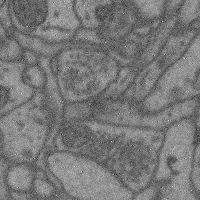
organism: Mouse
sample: Cerebral cortex